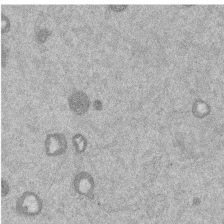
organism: Mouse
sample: Dividing mouse embryo 1 cell stage